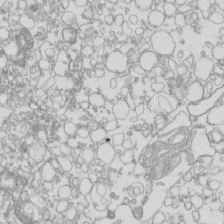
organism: Mouse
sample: Macrophages